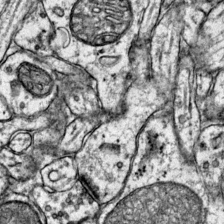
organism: Mouse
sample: Primary visual cortex